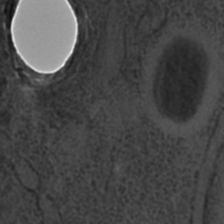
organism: C. elegans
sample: C. elegans embryo